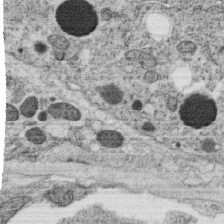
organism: C. elegans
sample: C. elegans oocyte; sperm cells